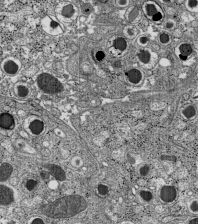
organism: C57BL Mouse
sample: Pancreatic islet